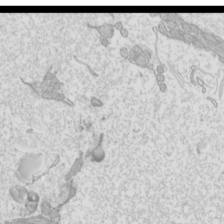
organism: Mouse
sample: Cilia; mouse epididymis